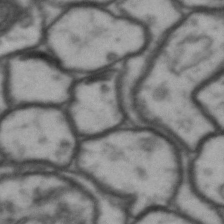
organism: Drosophila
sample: Brain